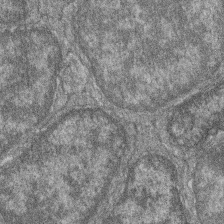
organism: Zebrafish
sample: Cilia; retinal pigment epithelium